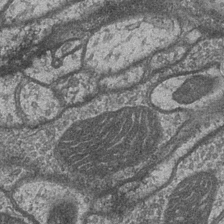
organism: Drosophila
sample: Optic medulla